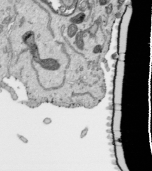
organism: Human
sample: Mitochondria in HCT116 cells